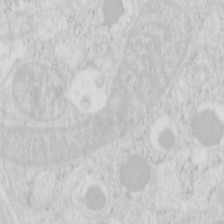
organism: Mouse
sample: Pancreas